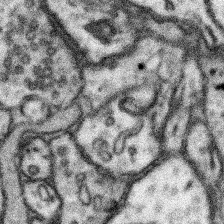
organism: Mouse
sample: Somatosensory cortex neuropil